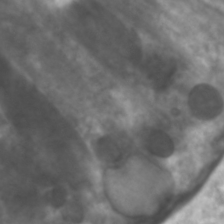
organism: C. elegans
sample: Pharynx